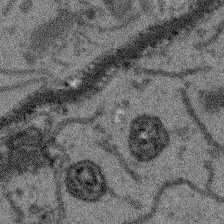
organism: Arabidopsis thaliana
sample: Root tip